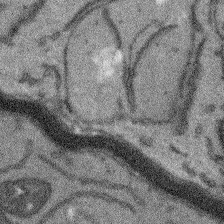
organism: Arabidopsis thaliana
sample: Root tip